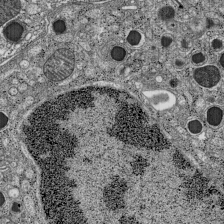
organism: C57BL Mouse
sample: Pancreatic islet